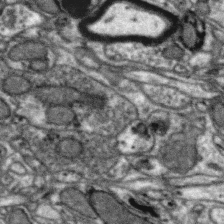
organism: Zebra finch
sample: Brain